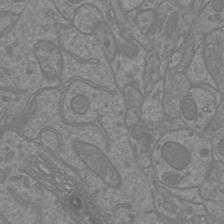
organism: Mouse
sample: Cortical neurons